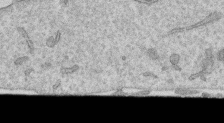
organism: Human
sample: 1205lu cells